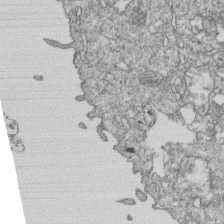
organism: Human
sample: HeLa cell HIV synapse